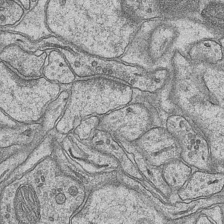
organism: Mouse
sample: CA1 Hippocampus